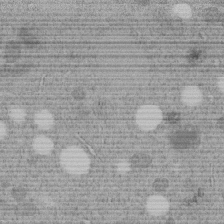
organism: C. elegans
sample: C. elegans embryo early stage